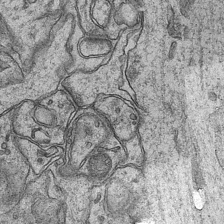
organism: Mouse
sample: CA1 Hippocampus